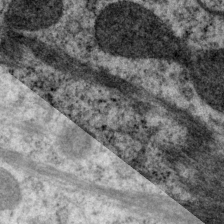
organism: P. pacificus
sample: Pharynx